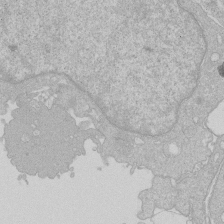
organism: Human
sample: Macrophage cells